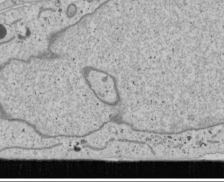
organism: Human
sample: Mitochondria in U2OS cells